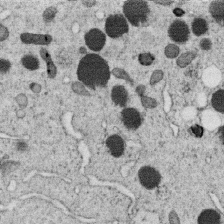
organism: C. elegans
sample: C. elegans oocyte; sperm cells